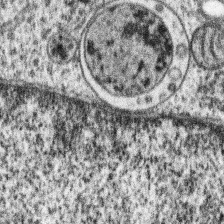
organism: Human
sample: HeLa cells